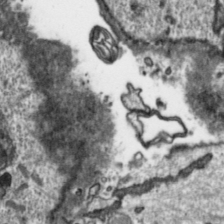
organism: Toxoplasma gondii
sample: Parasites in a vacuole inside a host cell